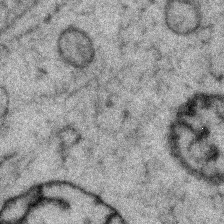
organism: Zebrafish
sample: Zebrafish embryo